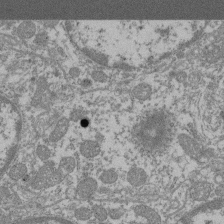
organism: Mouse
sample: Glomerulus